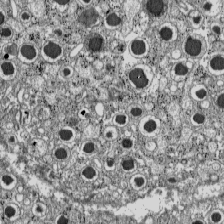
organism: C57BL Mouse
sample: Pancreatic islet